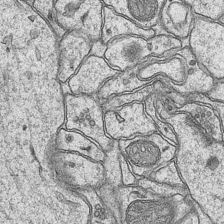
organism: Mouse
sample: CA1 Hippocampus